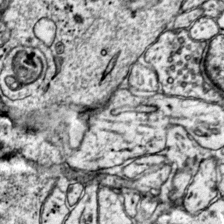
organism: Mouse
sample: Primary visual cortex